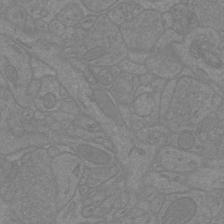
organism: Mouse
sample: Cortical neurons